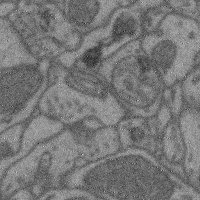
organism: Mouse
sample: Cerebral cortex